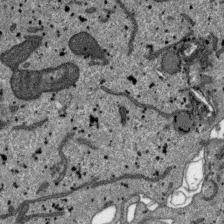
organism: Human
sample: Lung epithelial cells, uninfected (mock) control